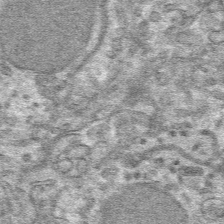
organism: Mouse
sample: Mouse hepatocytes